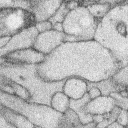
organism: Rabbit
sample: Retina